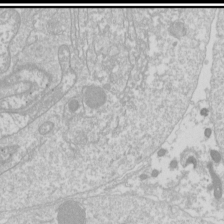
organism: Drosophila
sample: Cell division; meiosis; drosophila spermatocytes